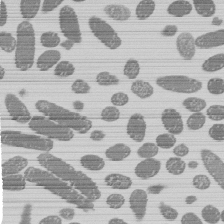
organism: E. coli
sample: Bacterial nucleoid